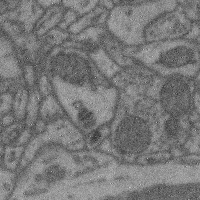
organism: Mouse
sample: Cerebral cortex